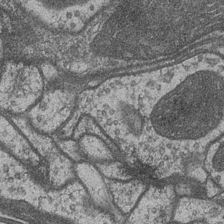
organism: Drosophila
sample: Optic medulla